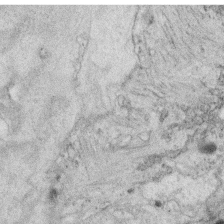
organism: C. elegans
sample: C. elegans oocyte; sperm cells